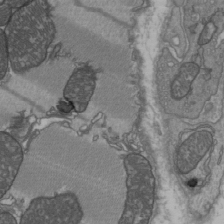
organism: C57BL Mouse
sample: Heart